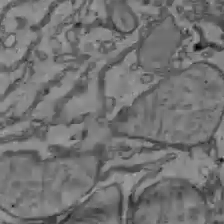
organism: C57BL Mouse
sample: Liver